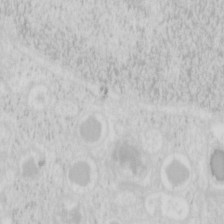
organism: Mouse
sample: Pancreas